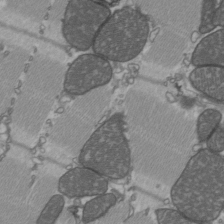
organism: C57BL Mouse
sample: Heart